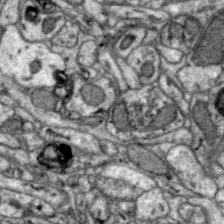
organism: Zebra finch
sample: Brain